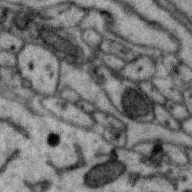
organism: Zebra finch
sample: Brain